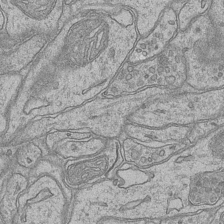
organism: Mouse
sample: CA1 Hippocampus